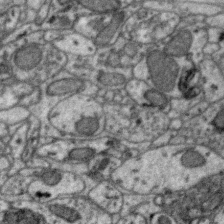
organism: Zebra finch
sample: Brain